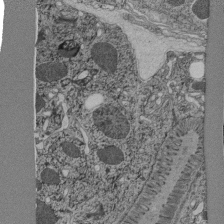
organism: C. elegans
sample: C. elegans pharynx